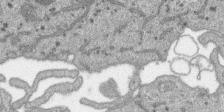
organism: Human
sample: Lung epithelial cells infected with SARS-CoV-2